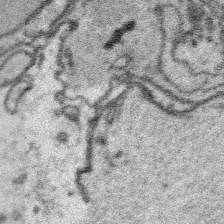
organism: Platynereis dumerilii